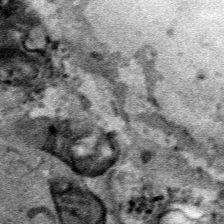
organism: Human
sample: Mitochondria in HCT116 cells